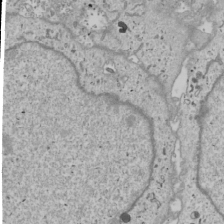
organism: Human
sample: Mitochondria in U2OS cells